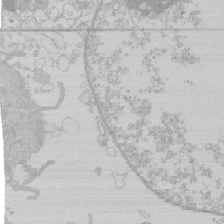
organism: Human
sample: Macrophage cells